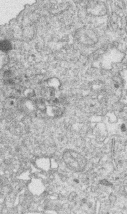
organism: Human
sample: HeLa cell HIV synapse